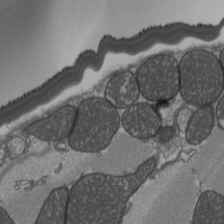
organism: C57BL Mouse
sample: Heart